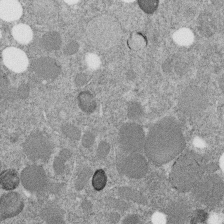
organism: C. elegans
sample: C. elegans embryo early stage